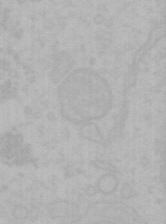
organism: Mouse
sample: Choroid plexus